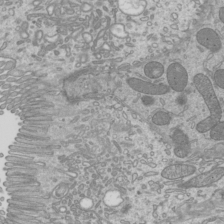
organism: Mouse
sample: Cilia; mouse epididymis